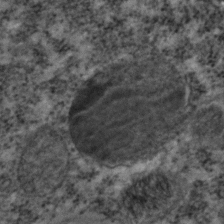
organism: C. elegans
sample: C. elegans embryo